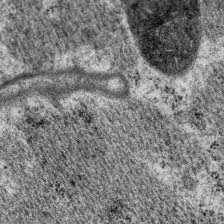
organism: P. pacificus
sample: Pharynx